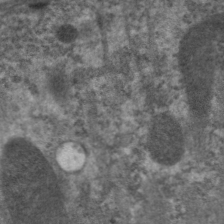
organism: C. elegans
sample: Pharynx